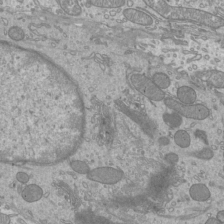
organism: Mouse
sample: Cilia; mouse epididymis